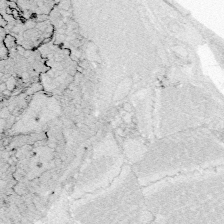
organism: Zebrafish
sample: Whole-Brain